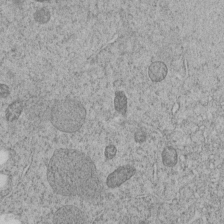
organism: C. elegans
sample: C. elegans embryo early stage